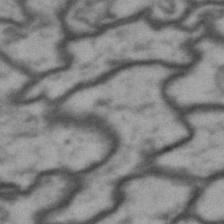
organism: Drosophila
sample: Brain